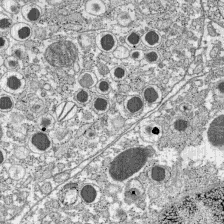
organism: C57BL Mouse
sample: Pancreatic islet